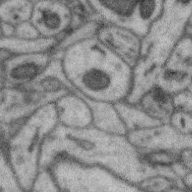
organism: Zebra finch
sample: Brain